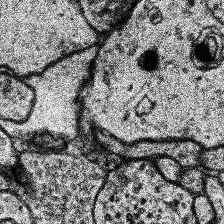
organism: Human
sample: Temporal Lobe